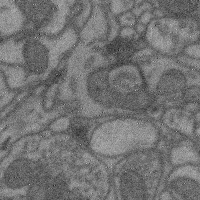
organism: Mouse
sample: Cerebral cortex